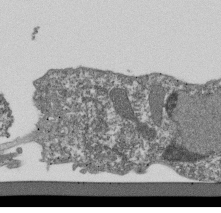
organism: Dictyostelium discoideum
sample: Dictyostelium multivesicular bodies